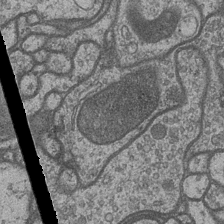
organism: Drosophila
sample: Optic medulla